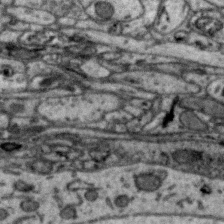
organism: Zebra finch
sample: Brain